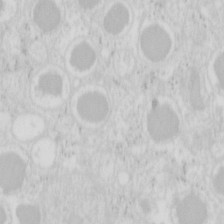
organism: Mouse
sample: Pancreas